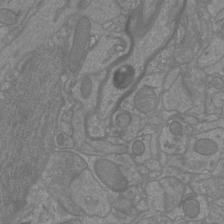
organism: Mouse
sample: Cortical neurons